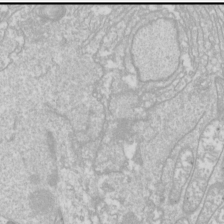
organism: Drosophila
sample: Cell division; meiosis; drosophila spermatocytes